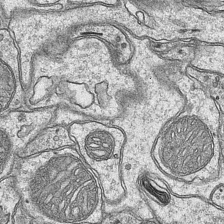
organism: Mouse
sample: CA1 Hippocampus